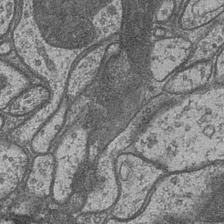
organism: Drosophila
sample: Optic medulla